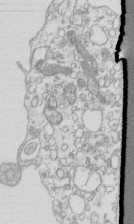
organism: Mouse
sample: Macrophages